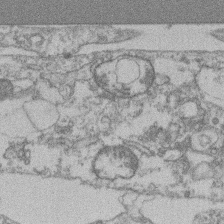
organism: Mouse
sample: T cell stromal cell synapse